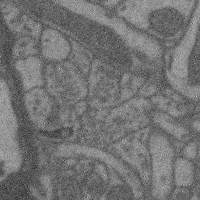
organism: Mouse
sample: Cerebral cortex